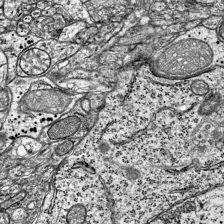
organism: Mouse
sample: Visual Cortex